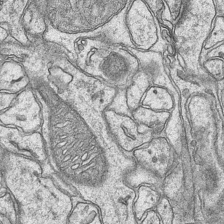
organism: Mouse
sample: CA1 Hippocampus